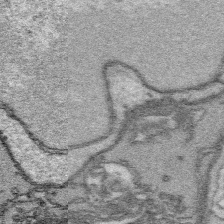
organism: Platynereis dumerilii